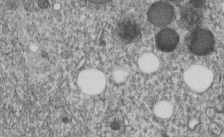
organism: C. elegans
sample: C. elegans embryo early stage